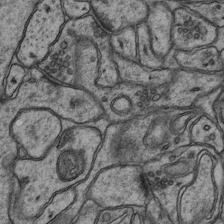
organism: Mouse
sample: CA1 Hippocampus